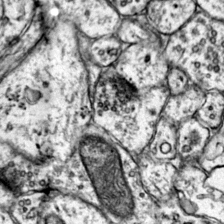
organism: Mouse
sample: Primary visual cortex